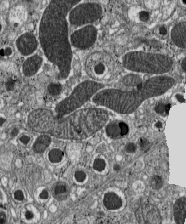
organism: C57BL Mouse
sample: Pancreatic islet